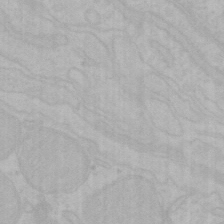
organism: Mouse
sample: Choroid plexus